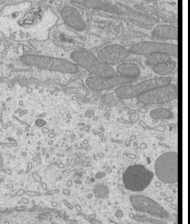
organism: Mouse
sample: Cilia; mouse epididymis